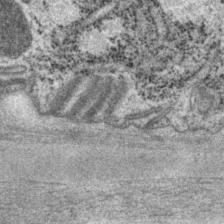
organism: P. pacificus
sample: Pharynx